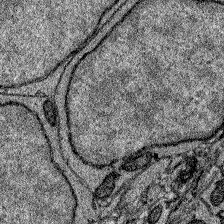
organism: Zebrafish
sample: Larval olfactory bulb